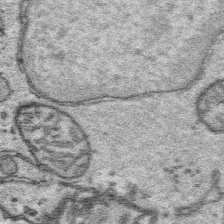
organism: Platynereis dumerilii